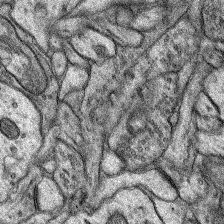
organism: Rat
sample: Hippocampus